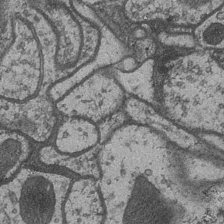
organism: Drosophila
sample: Optic medulla